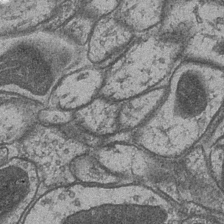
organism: Drosophila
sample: Optic medulla